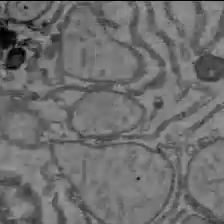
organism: C57BL Mouse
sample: Liver